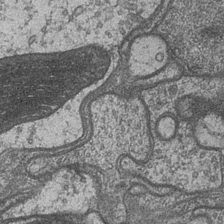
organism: Drosophila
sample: Optic medulla